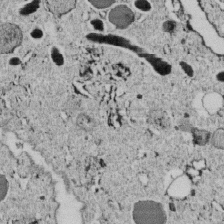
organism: C. elegans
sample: C. elegans embryo early stage